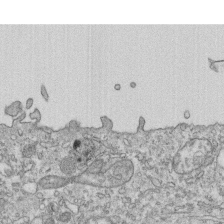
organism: Human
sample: HeLa cell HIV synapse